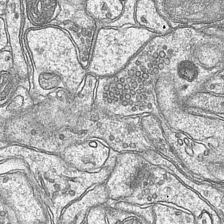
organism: Mouse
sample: CA1 Hippocampus